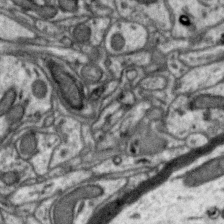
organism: Zebra finch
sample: Brain